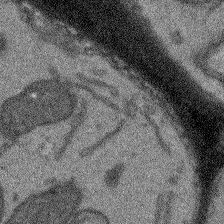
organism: Arabidopsis thaliana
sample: Root tip